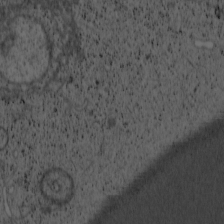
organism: African green monkey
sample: COS-7 cells